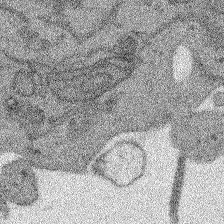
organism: Human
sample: HeLa cells